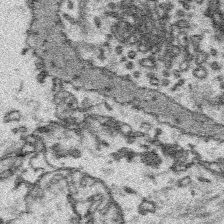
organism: Platynereis dumerilii